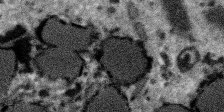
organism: Human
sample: Lung epithelial cells infected with SARS-CoV-2